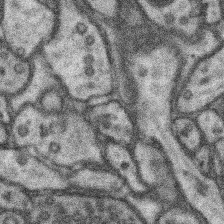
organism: Mouse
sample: Somatosensory cortex neuropil